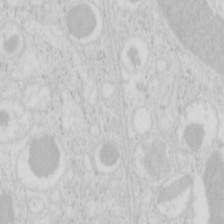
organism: Mouse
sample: Pancreas